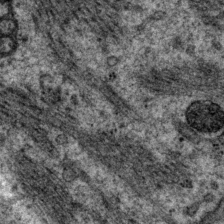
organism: P. pacificus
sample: Pharynx